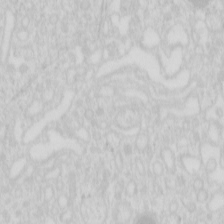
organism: Mouse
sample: Pancreas